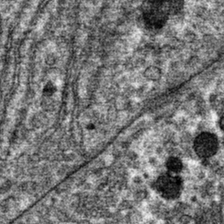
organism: Mouse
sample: Mouse hepatocytes